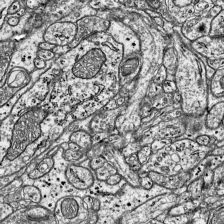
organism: Mouse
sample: Visual Cortex